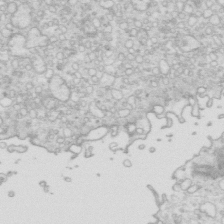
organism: Mouse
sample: Multiciliated cells